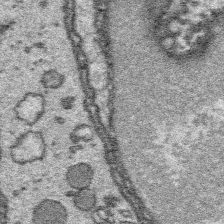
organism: Platynereis dumerilii